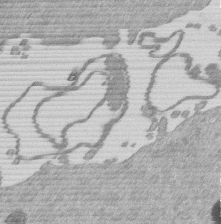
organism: Mouse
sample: Dividing mouse embryo 1 cell stage